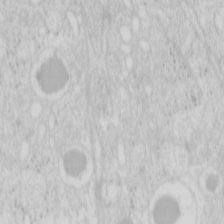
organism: Mouse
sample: Pancreas